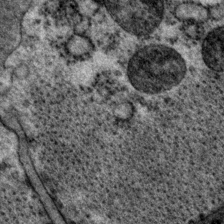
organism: P. pacificus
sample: Pharynx